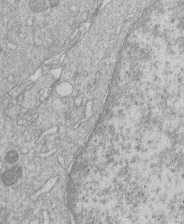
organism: Human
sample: Macrophage cells